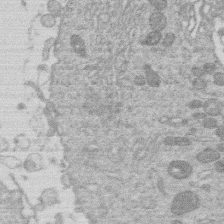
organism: Human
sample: Macrophage cells